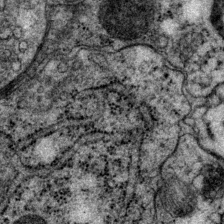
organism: P. pacificus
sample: Pharynx